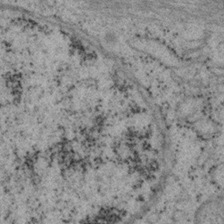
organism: Human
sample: HeLa cells